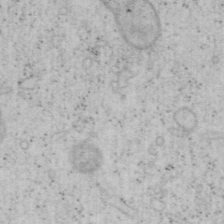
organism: Human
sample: HeLa cells